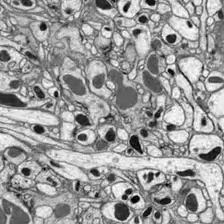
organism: Drosophila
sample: Optic lobe